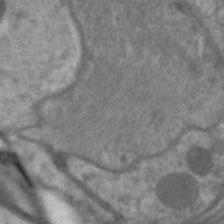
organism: C. elegans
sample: Pharynx